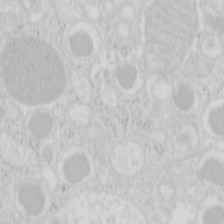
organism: Mouse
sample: Pancreas